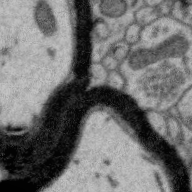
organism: Zebra finch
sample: Brain